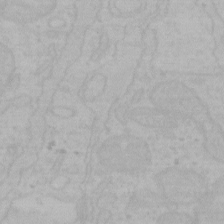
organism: Mouse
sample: Choroid plexus